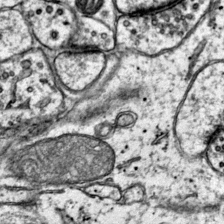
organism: Mouse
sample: Primary visual cortex